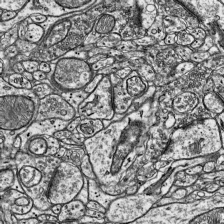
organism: Mouse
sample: Visual Cortex